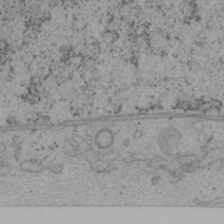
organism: Human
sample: HeLa cells